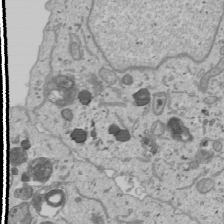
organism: Human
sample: Mitochondria in U2OS cells